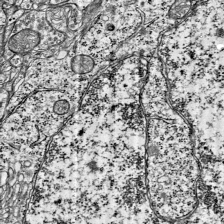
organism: Mouse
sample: Visual Cortex